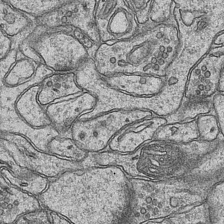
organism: Mouse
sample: CA1 Hippocampus